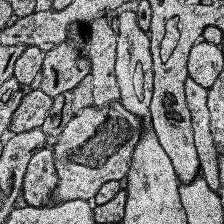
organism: Human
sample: Temporal Lobe